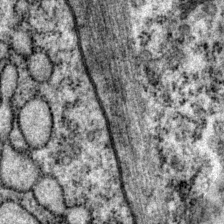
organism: P. pacificus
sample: Pharynx